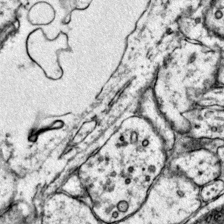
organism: Mouse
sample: Primary visual cortex